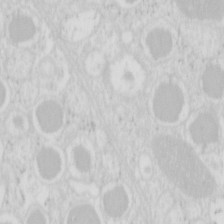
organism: Mouse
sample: Pancreas